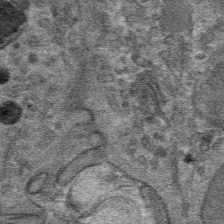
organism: Mouse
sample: Mouse hepatocytes